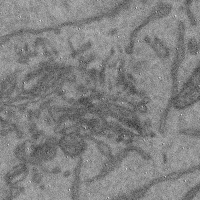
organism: Mouse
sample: Cerebral cortex